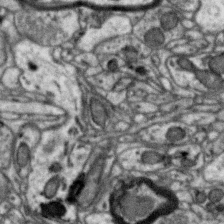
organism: Zebra finch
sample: Brain